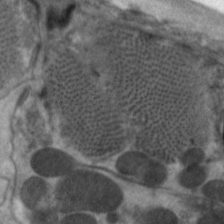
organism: C. elegans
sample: Pharynx